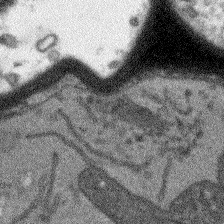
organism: Arabidopsis thaliana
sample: Root tip